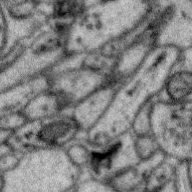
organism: Zebra finch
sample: Brain